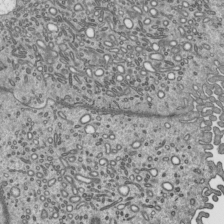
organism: Mouse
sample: Mouse epididymis efferent ductule cilia